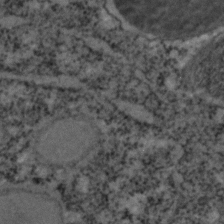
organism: C. elegans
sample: C. elegans embryo